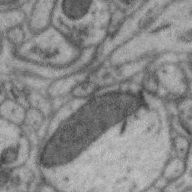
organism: Zebra finch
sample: Brain